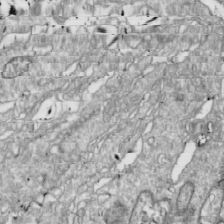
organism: Drosophila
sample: Cell division; meiosis; drosophila spermatocytes